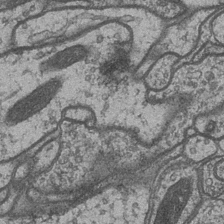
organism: Drosophila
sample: Optic medulla